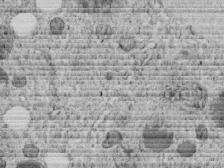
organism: C. elegans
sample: C. elegans embryo early stage